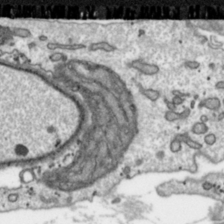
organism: Toxoplasma gondii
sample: Parasites in a vacuole inside a host cell